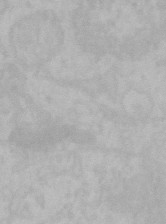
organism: Mouse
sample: Choroid plexus